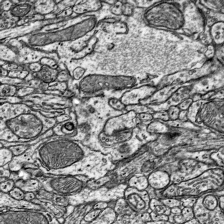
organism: Mouse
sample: Visual Cortex